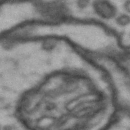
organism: Drosophila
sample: Brain